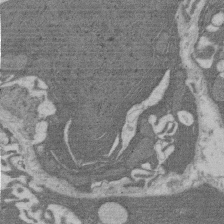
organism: Rat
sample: Salivary granule